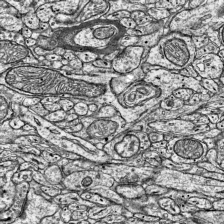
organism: Mouse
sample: Visual Cortex